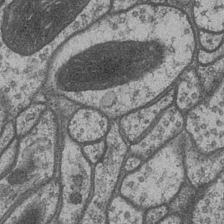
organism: Drosophila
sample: Optic medulla